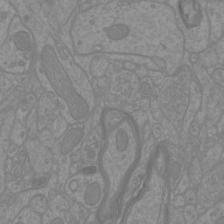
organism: Mouse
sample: Cortical neurons